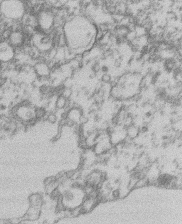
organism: Mouse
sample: T cell stromal cell synapse